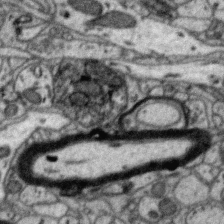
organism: Zebra finch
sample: Brain